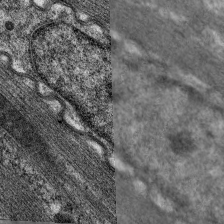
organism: C. elegans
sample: Pharynx